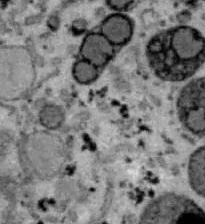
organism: Mouse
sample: Liver from an obese (ob/ob) mouse